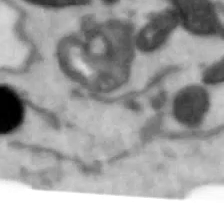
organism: Human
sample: SH-SY5Y cells